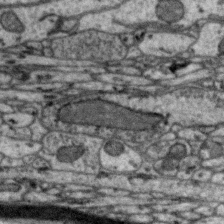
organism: Zebra finch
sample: Brain